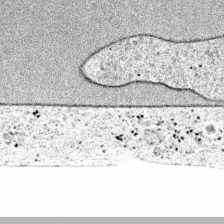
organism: Human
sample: HeLa cells